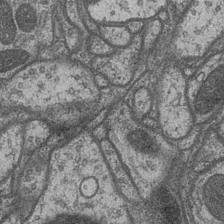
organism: Drosophila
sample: Optic medulla